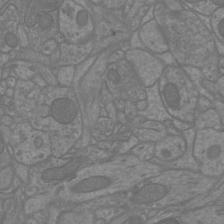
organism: Mouse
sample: Cortical neurons